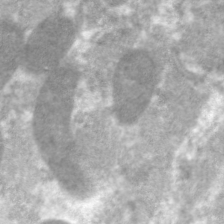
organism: C. elegans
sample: Pharynx